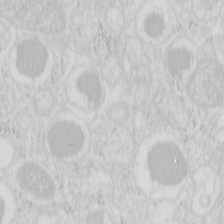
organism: Mouse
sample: Pancreas